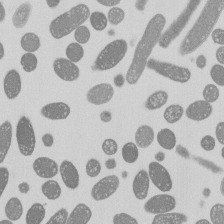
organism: E. coli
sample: Bacterial nucleoid